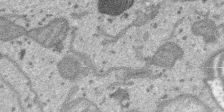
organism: Human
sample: Lung epithelial cells infected with SARS-CoV-2